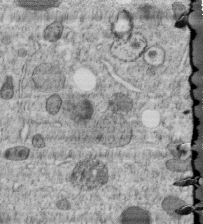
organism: C. elegans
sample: C. elegans embryo early stage